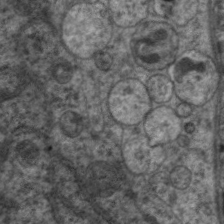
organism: C. elegans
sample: Pharynx